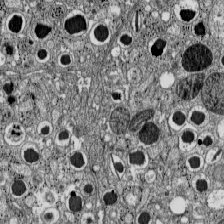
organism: C57BL Mouse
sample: Pancreatic islet